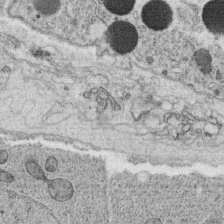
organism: C. elegans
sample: C. elegans oocyte; sperm cells